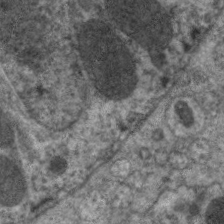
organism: C. elegans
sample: Pharynx